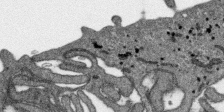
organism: Human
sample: Lung epithelial cells, uninfected (mock) control